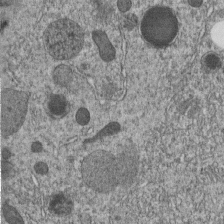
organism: C. elegans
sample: C. elegans embryo early stage